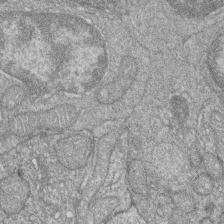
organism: Zebrafish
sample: Cilia; retinal pigment epithelium